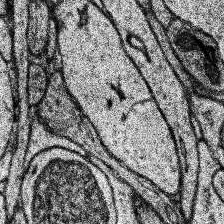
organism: Human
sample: Temporal Lobe